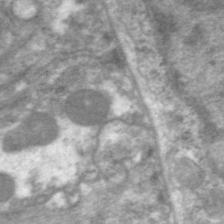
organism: C. elegans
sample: Pharynx